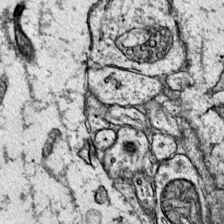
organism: Mouse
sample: Primary visual cortex